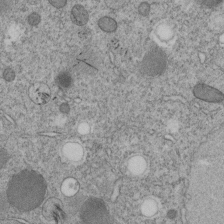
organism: C. elegans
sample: C. elegans embryo early stage